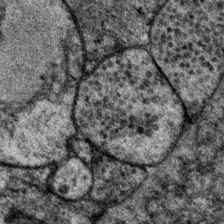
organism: P. pacificus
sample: Pharynx